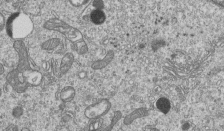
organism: Human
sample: MDA-MB-231 cells